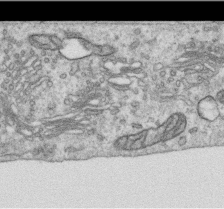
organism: Human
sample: Centriole in RPE cells